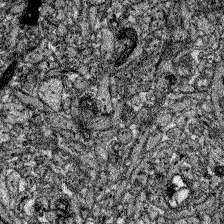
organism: Zebrafish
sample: Larval olfactory bulb